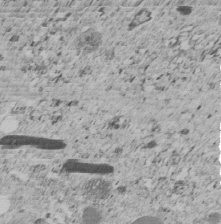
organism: C. elegans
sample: C. elegans embryo early stage